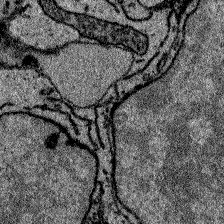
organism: Zebrafish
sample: Larval olfactory bulb